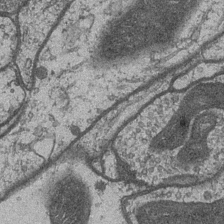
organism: Drosophila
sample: Optic medulla